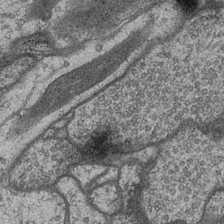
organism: Drosophila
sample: Optic medulla